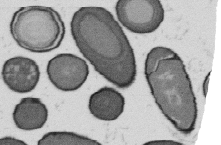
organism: B. subtilis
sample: Bacterial spore